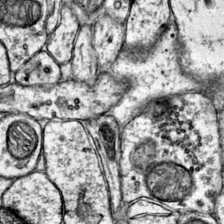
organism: Mouse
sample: Primary visual cortex